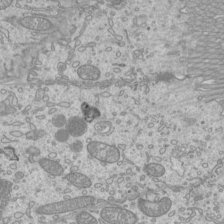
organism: Mouse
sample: Cilia; mouse epididymis